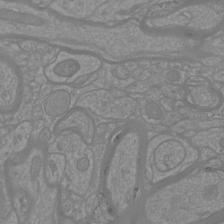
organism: Mouse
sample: Cortical neurons